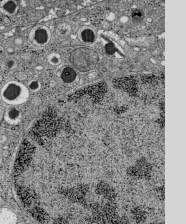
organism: C57BL Mouse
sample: Pancreatic islet